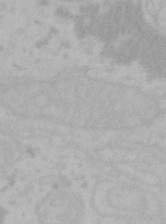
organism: Mouse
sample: Choroid plexus